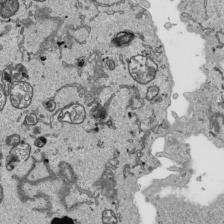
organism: Human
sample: Mitochondria in HCT116 cells